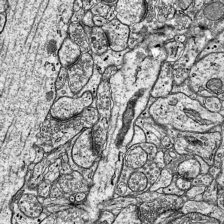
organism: Mouse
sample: Visual Cortex